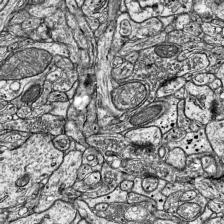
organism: Mouse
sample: Visual Cortex